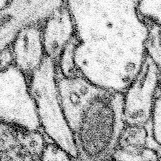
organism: Mouse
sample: Somatosensory cortex neuropil